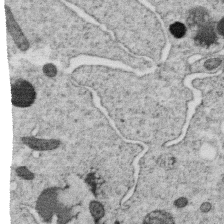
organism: C. elegans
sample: C. elegans oocyte; sperm cells